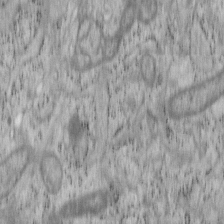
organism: Human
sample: HeLa cells